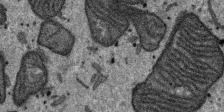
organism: Human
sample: Lung epithelial cells, uninfected (mock) control